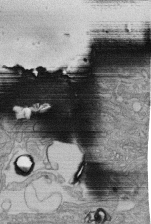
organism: Human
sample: Retinal organoid Rod and Cone cells